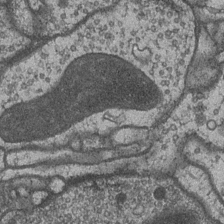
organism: Drosophila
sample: Optic medulla